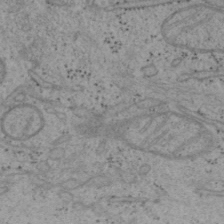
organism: Human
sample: HeLa cells